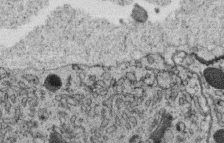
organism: C. elegans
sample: C. elegans oocyte; sperm cells